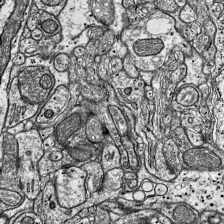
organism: Mouse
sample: Visual Cortex